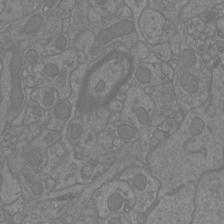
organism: Mouse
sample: Cortical neurons